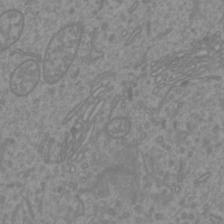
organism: Mouse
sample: Cortical neurons